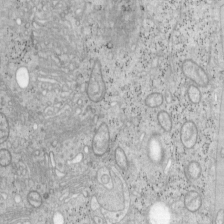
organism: Mouse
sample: OT-I killer T cells with ID8 ovarian cancer cells